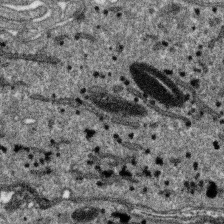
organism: Human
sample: Lung epithelial cells infected with SARS-CoV-2